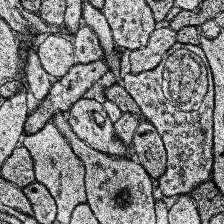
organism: Human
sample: Temporal Lobe